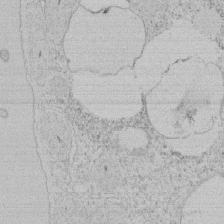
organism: Tetrahymena